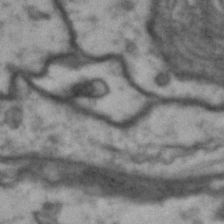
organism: Drosophila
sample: Brain